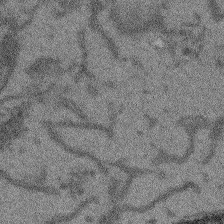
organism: Arabidopsis thaliana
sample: Root tip